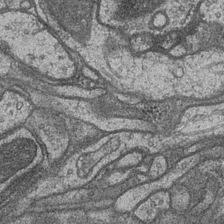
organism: Drosophila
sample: Optic medulla